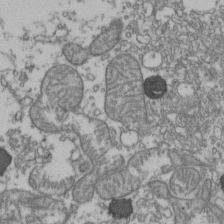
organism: Human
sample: Activated Jurkat CD4+ T cells